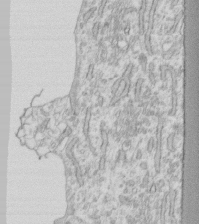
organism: Human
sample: Fibroblast cells